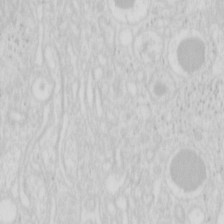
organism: Mouse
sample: Pancreas